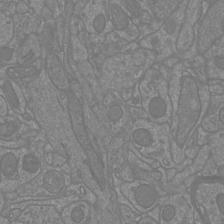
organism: Mouse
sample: Cortical neurons